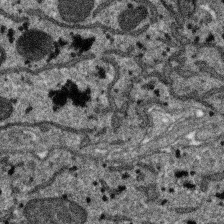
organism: Human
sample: Lung epithelial cells infected with SARS-CoV-2